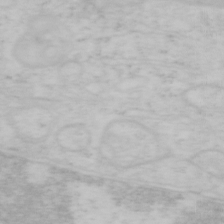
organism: Mouse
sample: OT-I killer T cells with ID8 ovarian cancer cells